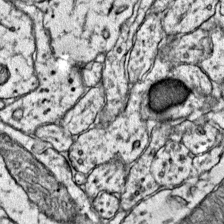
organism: Mouse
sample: Primary visual cortex